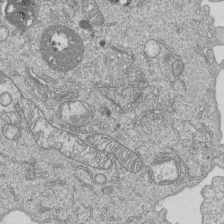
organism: Human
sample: MDA-MB-231 cells